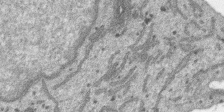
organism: Human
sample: Lung epithelial cells infected with SARS-CoV-2